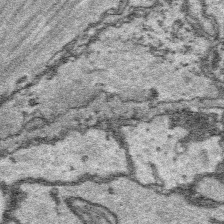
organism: Platynereis dumerilii